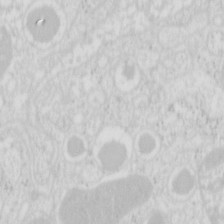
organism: Mouse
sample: Pancreas